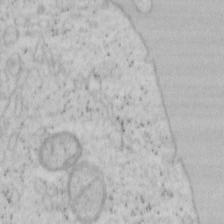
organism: Human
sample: HeLa cells